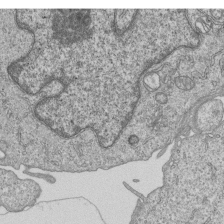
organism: Human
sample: MDA-MB-231 cells